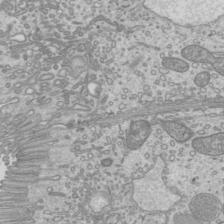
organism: Mouse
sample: Cilia; mouse epididymis